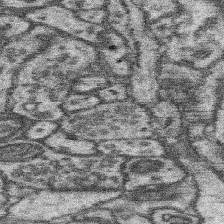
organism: Mouse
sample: Somatosensory cortex neuropil